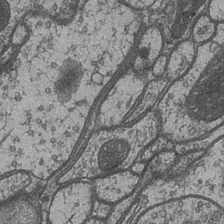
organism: Drosophila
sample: Optic medulla